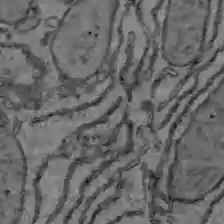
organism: C57BL Mouse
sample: Liver